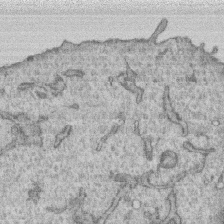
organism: Human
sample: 1205lu cells